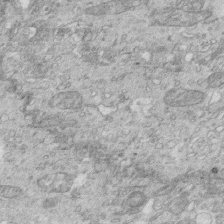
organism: Mouse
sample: Multiciliated cells